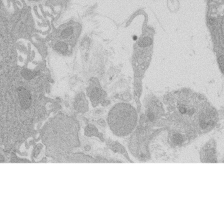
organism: Rat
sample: Salivary granule